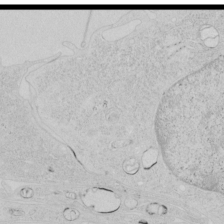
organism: Human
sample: Mitochondria in HCT116 cells